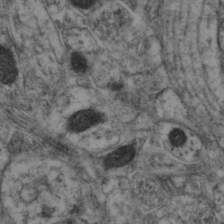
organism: Mouse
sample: Neocortex